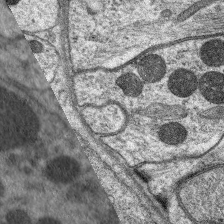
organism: C. elegans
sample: Pharynx